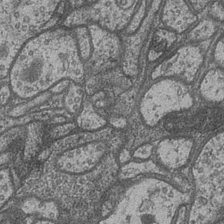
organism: Drosophila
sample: Optic medulla